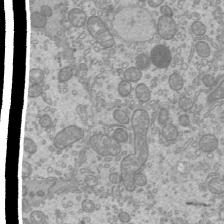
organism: Mouse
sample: Cilia; mouse epididymis